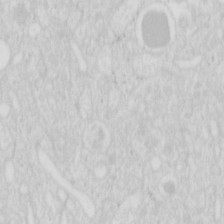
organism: Mouse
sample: Pancreas